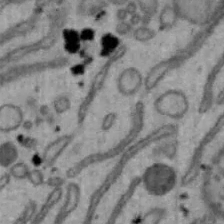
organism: Mouse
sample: Liver